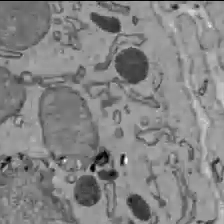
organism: C57BL Mouse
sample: Liver